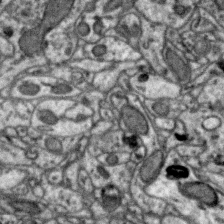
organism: Zebra finch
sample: Brain